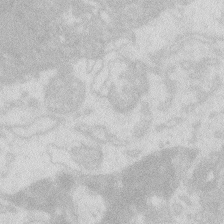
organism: Zebrafish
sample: Macrophage